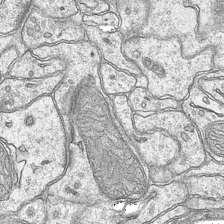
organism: Mouse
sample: CA1 Hippocampus